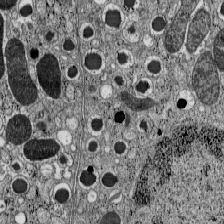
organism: C57BL Mouse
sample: Pancreatic islet